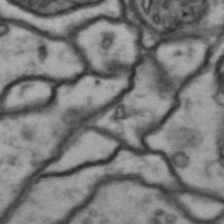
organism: Drosophila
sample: Brain